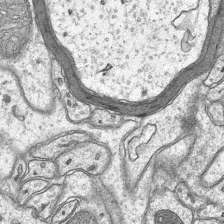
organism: Mouse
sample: CA1 Hippocampus